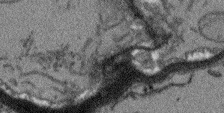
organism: Arabidopsis thaliana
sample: Root tip